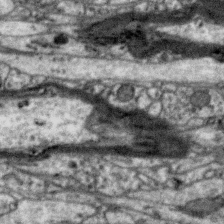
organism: Zebra finch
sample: Brain